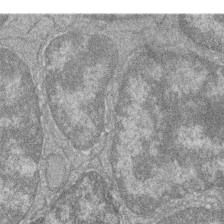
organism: Zebrafish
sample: Cilia; retinal pigment epithelium